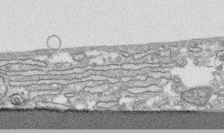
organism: Human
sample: CRL-1474